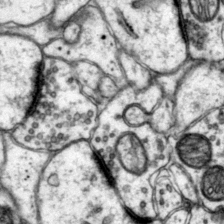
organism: Mouse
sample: Primary visual cortex